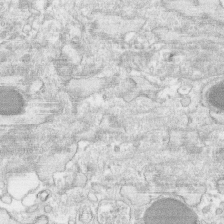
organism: Human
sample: CRL-1474